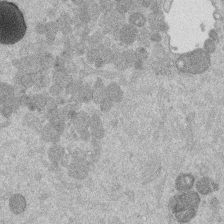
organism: Mouse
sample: Dividing mouse embryo 1 cell stage